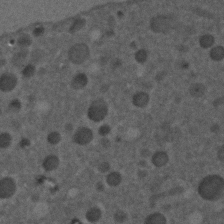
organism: C. elegans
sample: C. elegans embryo